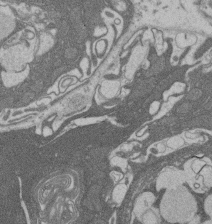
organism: Rat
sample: Salivary granule